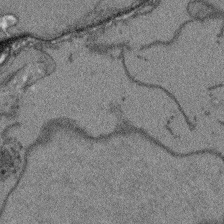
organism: Arabidopsis thaliana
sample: Root tip